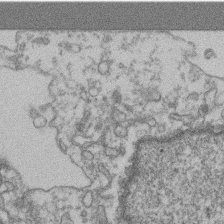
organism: Mouse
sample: T cell stromal cell synapse